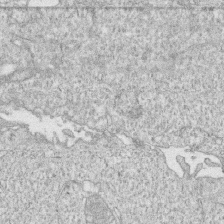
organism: Human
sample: HeLa cell HIV synapse